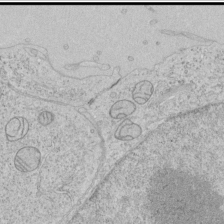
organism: Human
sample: Mitochondria in HCT116 cells